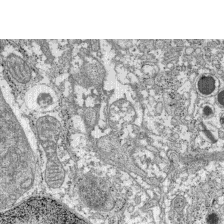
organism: C57BL Mouse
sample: Pancreatic islet